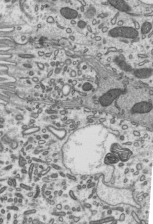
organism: Mouse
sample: Mouse epididymis efferent ductule cilia